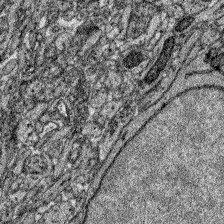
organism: Zebrafish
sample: Larval olfactory bulb